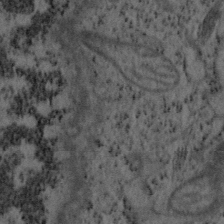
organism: Human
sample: HeLa cells